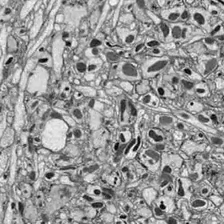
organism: Drosophila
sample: Optic lobe